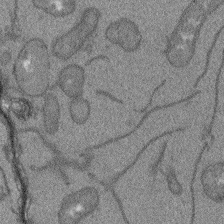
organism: Arabidopsis thaliana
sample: Root tip